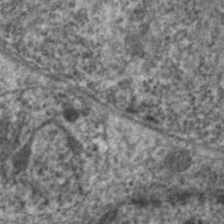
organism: C. elegans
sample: Pharynx